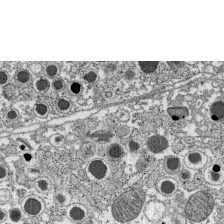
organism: C57BL Mouse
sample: Pancreatic islet